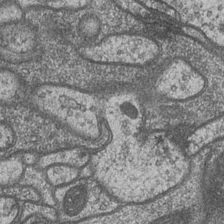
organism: Drosophila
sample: Optic medulla